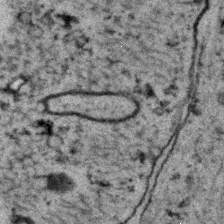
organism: C. elegans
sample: C. elegans embryo